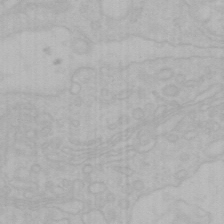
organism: Mouse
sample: Choroid plexus